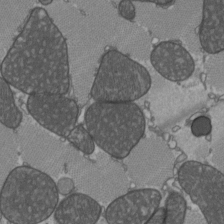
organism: C57BL Mouse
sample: Heart